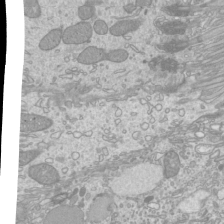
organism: Mouse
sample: Cilia; mouse epididymis